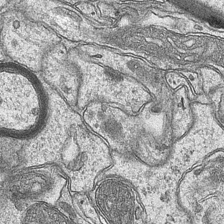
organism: Mouse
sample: CA1 Hippocampus